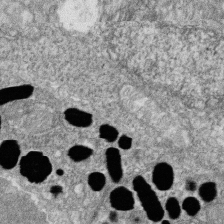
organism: Zebrafish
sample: Cilia; retinal pigment epithelium